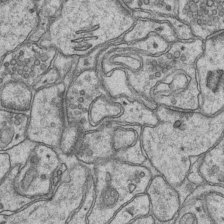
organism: Mouse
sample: CA1 Hippocampus